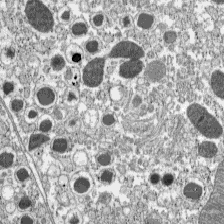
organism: C57BL Mouse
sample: Pancreatic islet